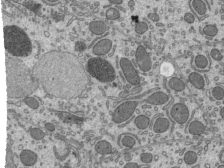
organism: Mouse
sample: Mouse epididymis efferent ductule cilia